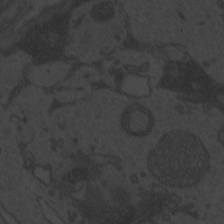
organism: Zebrafish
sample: Macrophage infected with Toxoplasma gondii